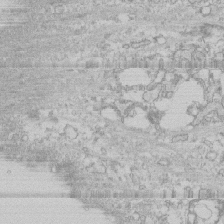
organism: Human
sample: CRL-1474